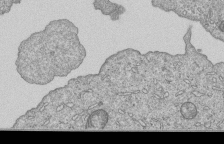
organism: Human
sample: MDA-MB-231 cells